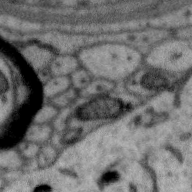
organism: Zebra finch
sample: Brain